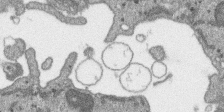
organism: Human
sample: Lung epithelial cells infected with SARS-CoV-2